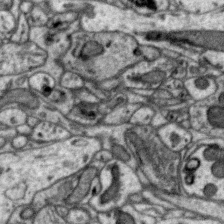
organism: Zebra finch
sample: Brain